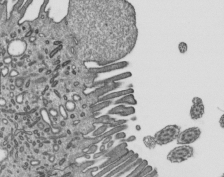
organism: Mouse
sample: Mouse epididymis efferent ductule cilia